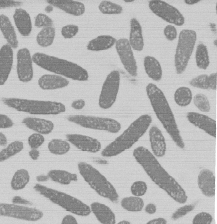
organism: E. coli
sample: Bacterial nucleoid